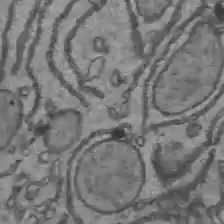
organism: C57BL Mouse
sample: Liver